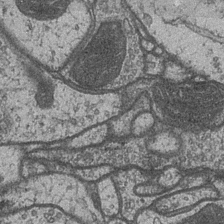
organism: Drosophila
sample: Optic medulla